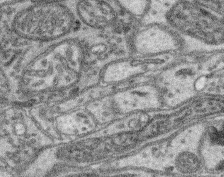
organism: Mouse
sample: Retina